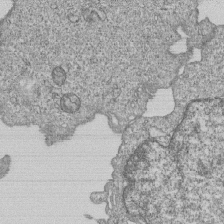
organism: Human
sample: MDA-MB-231 cells